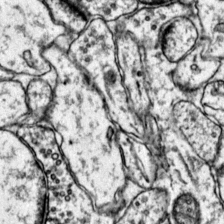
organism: Mouse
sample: Primary visual cortex